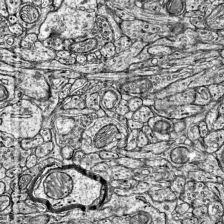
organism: Mouse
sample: Visual Cortex